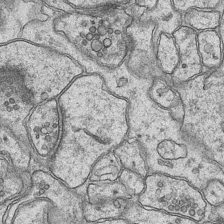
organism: Mouse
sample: CA1 Hippocampus